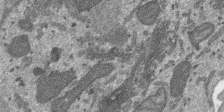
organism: Human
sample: Lung epithelial cells infected with SARS-CoV-2